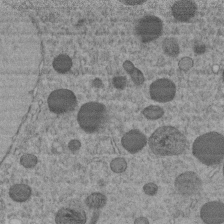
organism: C. elegans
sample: C. elegans embryo early stage